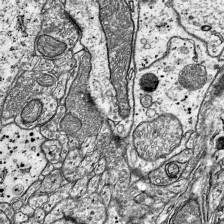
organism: Mouse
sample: Visual Cortex